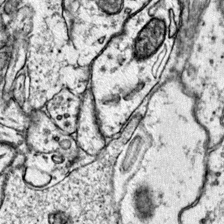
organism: Mouse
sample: Primary visual cortex